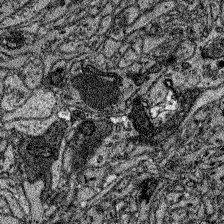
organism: Zebrafish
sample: Larval olfactory bulb